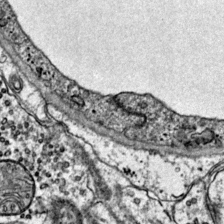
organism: Mouse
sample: Primary visual cortex